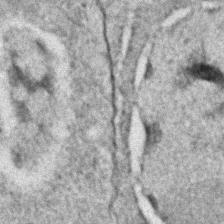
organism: C. elegans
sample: C. elegans embryo